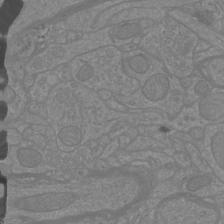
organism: Mouse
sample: Cortical neurons